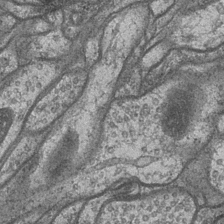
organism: Drosophila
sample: Optic medulla